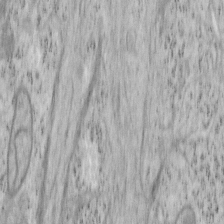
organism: Human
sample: HeLa cells